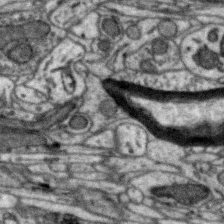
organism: Zebra finch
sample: Brain